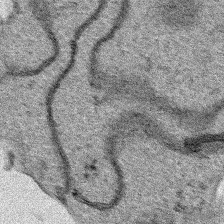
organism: Human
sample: Mitochondria in HCT116 cells